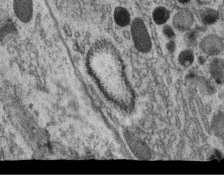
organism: C. elegans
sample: C. elegans oocyte; sperm cells